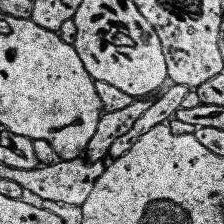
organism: Human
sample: Temporal Lobe